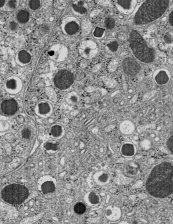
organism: C57BL Mouse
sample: Pancreatic islet